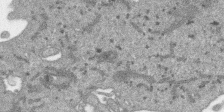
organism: Human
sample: Lung epithelial cells infected with SARS-CoV-2